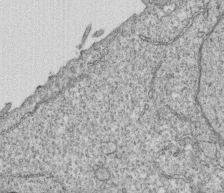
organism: Human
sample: HeLa cell HIV synapse